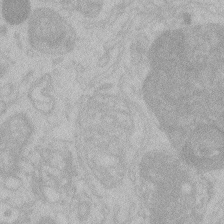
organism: Zebrafish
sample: Macrophage infected with Toxoplasma gondii